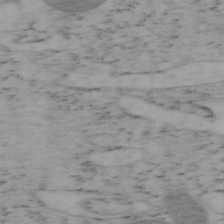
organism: Mouse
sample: OT-I killer T cells with ID8 ovarian cancer cells